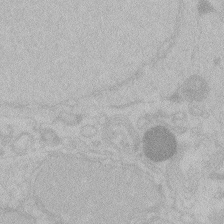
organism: Zebrafish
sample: Macrophage infected with Toxoplasma gondii